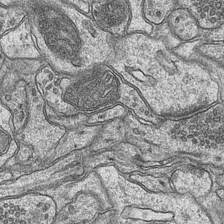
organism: Mouse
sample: CA1 Hippocampus